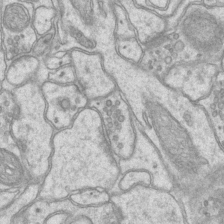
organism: Mouse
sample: CA1 Hippocampus